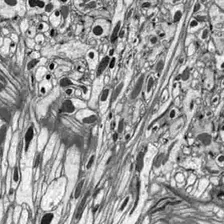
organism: Drosophila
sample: Optic lobe